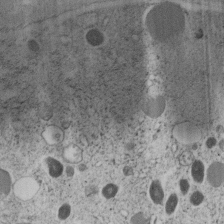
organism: C. elegans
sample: C. elegans embryo early stage